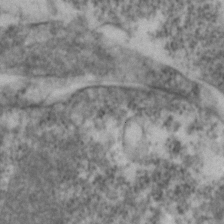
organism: Zebrafish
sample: Zebrafish embryo